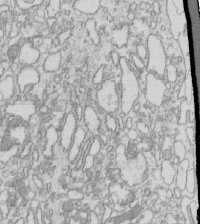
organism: Mouse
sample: Macrophages